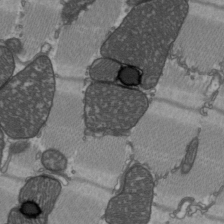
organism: C57BL Mouse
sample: Heart